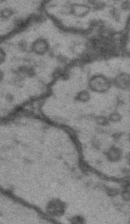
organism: Drosophila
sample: Brain